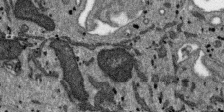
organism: Human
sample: Lung epithelial cells, uninfected (mock) control